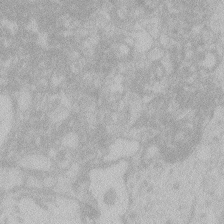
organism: Zebrafish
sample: Macrophage infected with Toxoplasma gondii